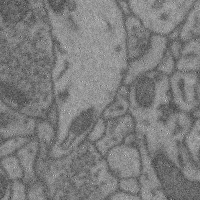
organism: Mouse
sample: Cerebral cortex